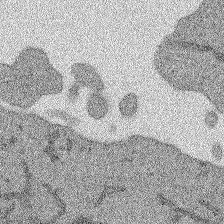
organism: Human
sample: HeLa cells